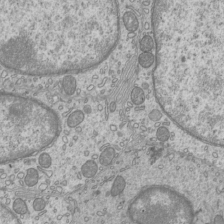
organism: Mouse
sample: Cilia; mouse epididymis